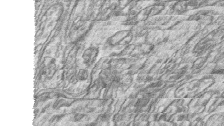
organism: Zebrafish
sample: synaptic ribbons in rod cells and cone cells